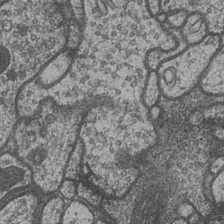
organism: Drosophila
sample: Optic medulla